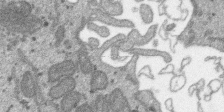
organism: Human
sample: Lung epithelial cells infected with SARS-CoV-2